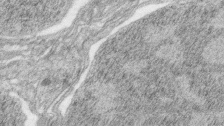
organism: Zebrafish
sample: synaptic ribbons in rod cells and cone cells